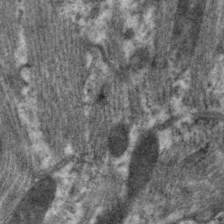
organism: C. elegans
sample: Pharynx